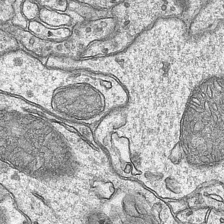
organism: Mouse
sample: CA1 Hippocampus